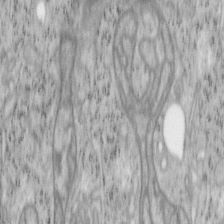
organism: Human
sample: HeLa cells